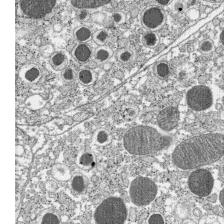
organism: C57BL Mouse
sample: Pancreatic islet